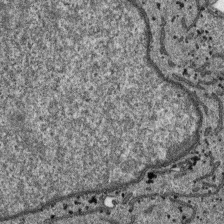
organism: Human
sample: Lung epithelial cells infected with SARS-CoV-2